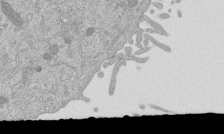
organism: Mouse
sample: ED-1 cell nuclei; centrioles